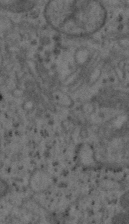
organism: Human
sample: HeLa cells